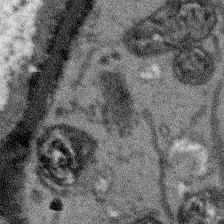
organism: Arabidopsis thaliana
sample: Root tip